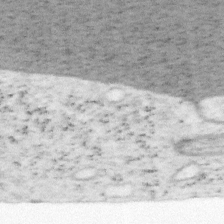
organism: Mouse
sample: OT-I killer T cells with ID8 ovarian cancer cells